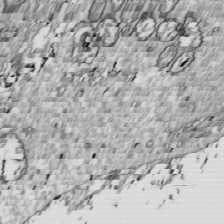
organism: Drosophila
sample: Cell division; meiosis; drosophila spermatocytes